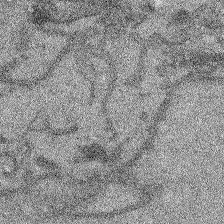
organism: Human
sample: HeLa cells